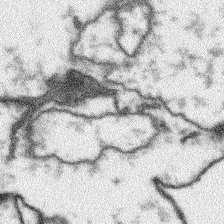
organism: Arabidopsis thaliana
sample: Root tip